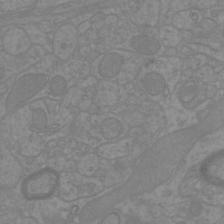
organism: Mouse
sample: Cortical neurons